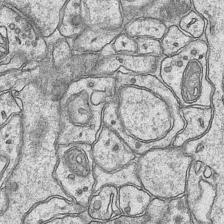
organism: Mouse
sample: CA1 Hippocampus